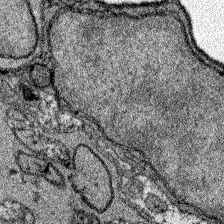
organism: Zebrafish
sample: Larval olfactory bulb